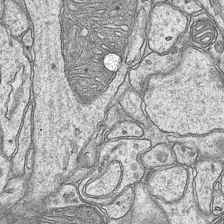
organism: Mouse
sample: CA1 Hippocampus